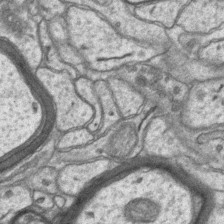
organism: Mouse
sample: CA1 Hippocampus